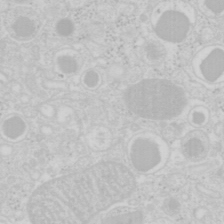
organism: Mouse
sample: Pancreas